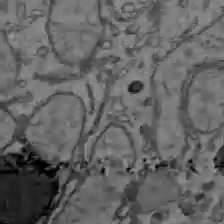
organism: C57BL Mouse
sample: Liver